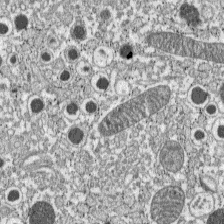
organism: C57BL Mouse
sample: Pancreatic islet